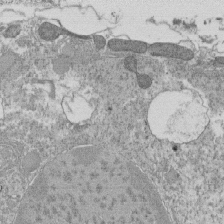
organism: Tetrahymena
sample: Cilia in tetrahymena